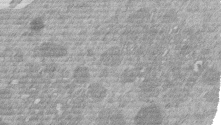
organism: Mouse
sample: Dividing mouse embryo 1 cell stage